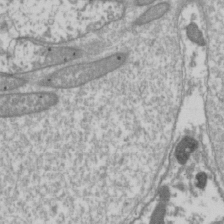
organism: Drosophila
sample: Cell division; meiosis; drosophila spermatocytes